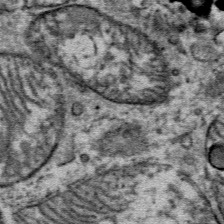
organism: Mouse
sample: Mouse Salivary gland